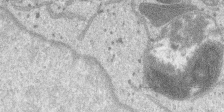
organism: Human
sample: Lung epithelial cells infected with SARS-CoV-2